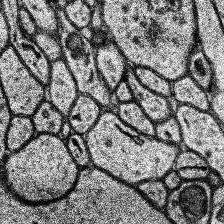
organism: Human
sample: Temporal Lobe